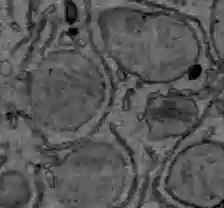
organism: C57BL Mouse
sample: Liver